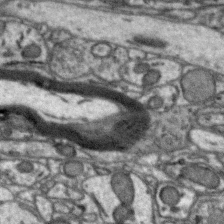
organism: Zebra finch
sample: Brain